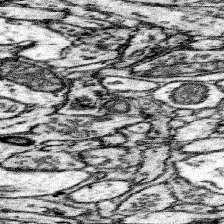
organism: Mouse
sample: Somatosensory cortex neuropil